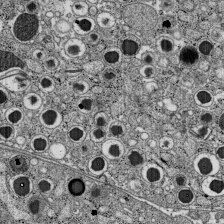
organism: C57BL Mouse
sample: Pancreatic islet